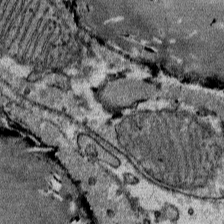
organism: Mouse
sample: Mouse Salivary gland